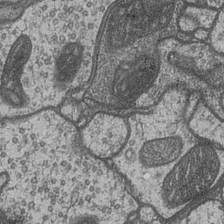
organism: Drosophila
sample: Optic medulla